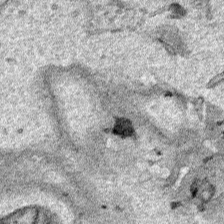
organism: Human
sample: Mitochondria in HCT116 cells